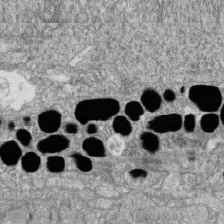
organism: Zebrafish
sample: Cilia; retinal pigment epithelium